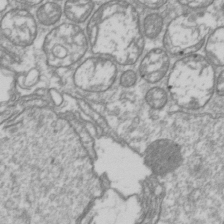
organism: Drosophila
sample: Cell division; meiosis; drosophila spermatocytes